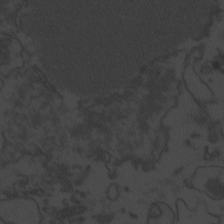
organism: Zebrafish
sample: Macrophage infected with Toxoplasma gondii